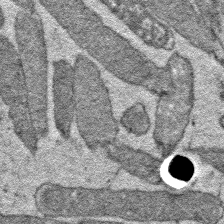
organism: E. coli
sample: E. Coli Bacteria